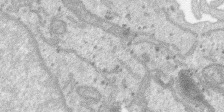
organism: Human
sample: Lung epithelial cells infected with SARS-CoV-2